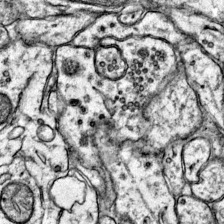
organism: Mouse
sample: Primary visual cortex